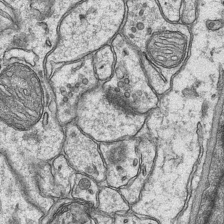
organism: Mouse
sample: CA1 Hippocampus